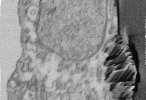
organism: Human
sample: Centriole in fibroblast cells